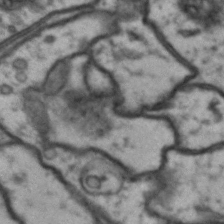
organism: Drosophila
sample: Brain